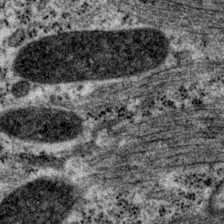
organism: P. pacificus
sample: Pharynx